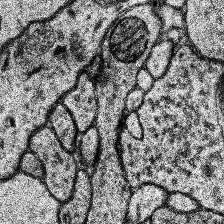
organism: Human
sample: Temporal Lobe